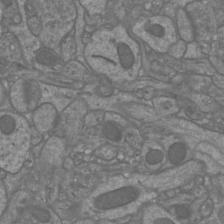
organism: Mouse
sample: Cortical neurons